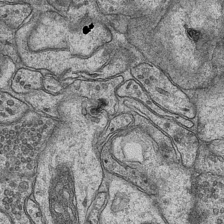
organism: Mouse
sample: CA1 Hippocampus